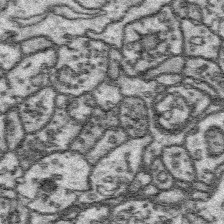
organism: Platynereis dumerilii